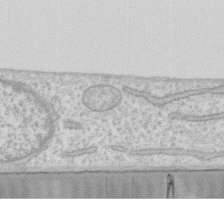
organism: Human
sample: Fibroblast cells